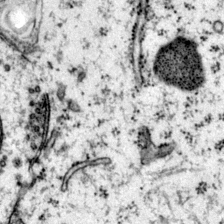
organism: Mouse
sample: Primary visual cortex